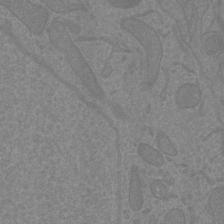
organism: Mouse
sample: Cortical neurons